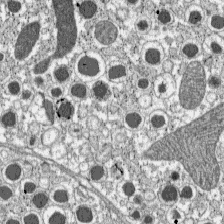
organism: C57BL Mouse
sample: Pancreatic islet